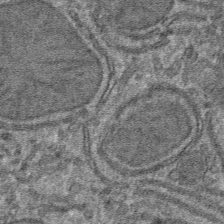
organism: Mouse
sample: Mouse hepatocytes